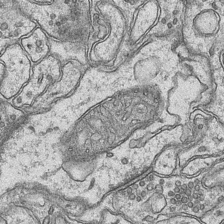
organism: Mouse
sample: CA1 Hippocampus